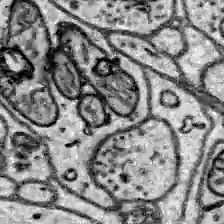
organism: Zebrafish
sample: Brain